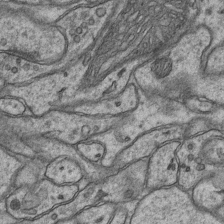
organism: Mouse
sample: CA1 Hippocampus